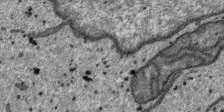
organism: Human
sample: Lung epithelial cells, uninfected (mock) control